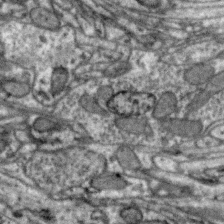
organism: Zebra finch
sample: Brain